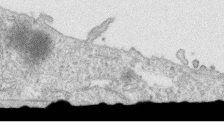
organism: Human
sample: HeLa cell HIV synapse